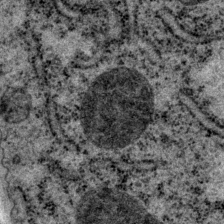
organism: P. pacificus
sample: Pharynx